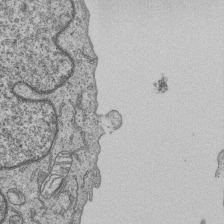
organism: Human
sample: MDA-MB-231 cells